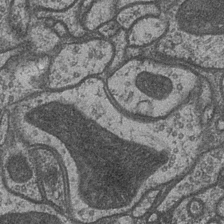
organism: Drosophila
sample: Optic medulla